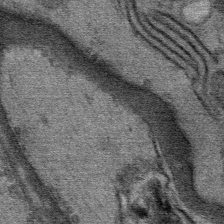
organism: Mouse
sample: Mouse Salivary gland